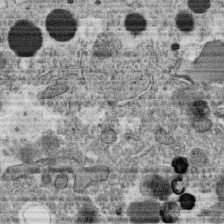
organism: C. elegans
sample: C. elegans oocyte; sperm cells